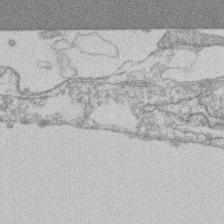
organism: Mouse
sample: T cell stromal cell synapse